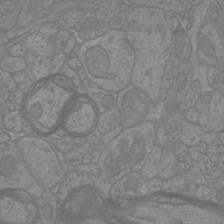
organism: Mouse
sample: Cortical neurons